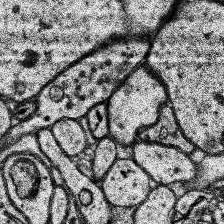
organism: Human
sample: Temporal Lobe